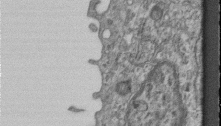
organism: Mouse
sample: Centriole in ependymal cells